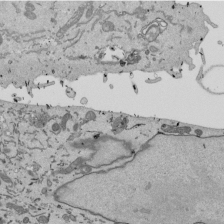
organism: Mouse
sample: ED-1 cell nuclei; centrioles